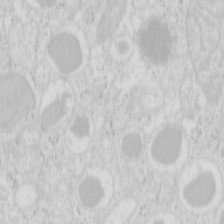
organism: Mouse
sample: Pancreas